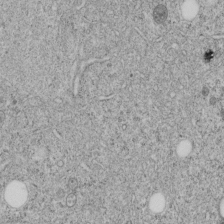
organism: C. elegans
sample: C. elegans embryo early stage